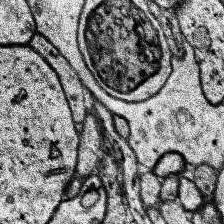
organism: Human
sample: Temporal Lobe